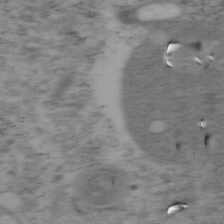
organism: Mouse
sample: OT-I killer T cells with ID8 ovarian cancer cells